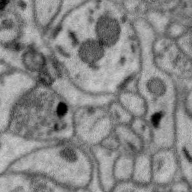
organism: Zebra finch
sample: Brain